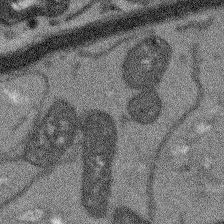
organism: Arabidopsis thaliana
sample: Root tip